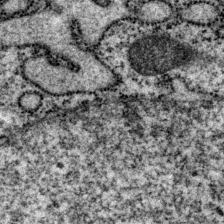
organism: P. pacificus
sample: Pharynx